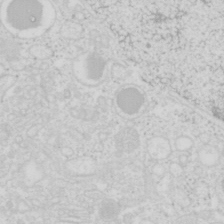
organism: Mouse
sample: Pancreas